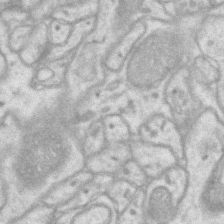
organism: Mouse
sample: CA1 Hippocampus